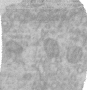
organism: Human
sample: Centriole in RPE cells